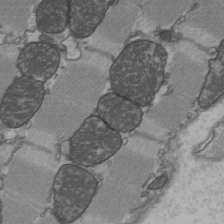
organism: C57BL Mouse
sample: Heart